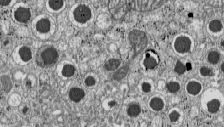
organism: C57BL Mouse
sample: Pancreatic islet